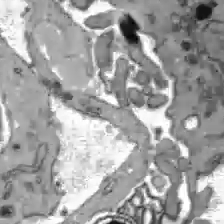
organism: C57BL Mouse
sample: Liver